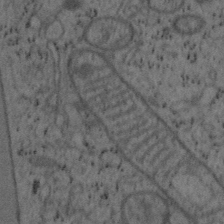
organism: Human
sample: HeLa cells